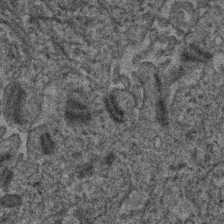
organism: Human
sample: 1205lu cells